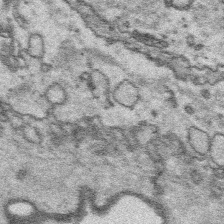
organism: Platynereis dumerilii